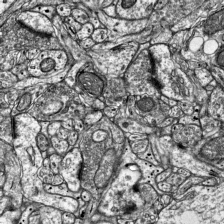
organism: Mouse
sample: Visual Cortex